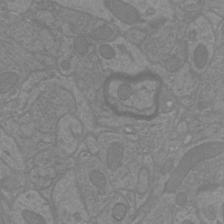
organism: Mouse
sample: Cortical neurons